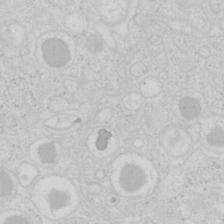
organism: Mouse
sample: Pancreas